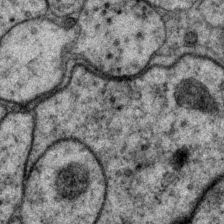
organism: P. pacificus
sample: Pharynx